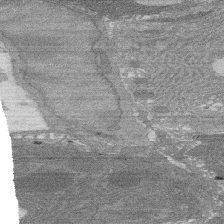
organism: Rat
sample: Salivary granule